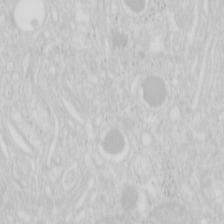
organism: Mouse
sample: Pancreas